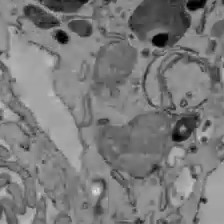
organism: C57BL Mouse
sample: Liver